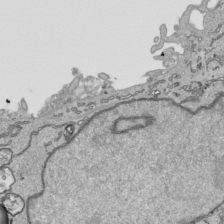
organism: Human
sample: Mitochondria in HCT116 cells